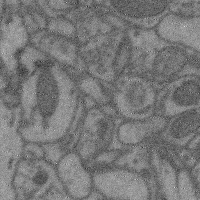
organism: Mouse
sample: Cerebral cortex